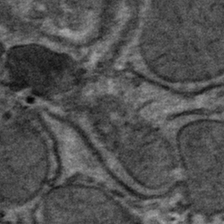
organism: Mouse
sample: Mouse hepatocytes